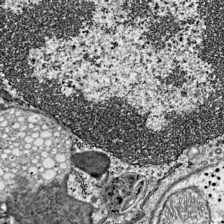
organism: Mouse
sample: Visual Cortex